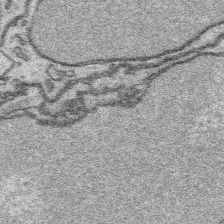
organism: Platynereis dumerilii